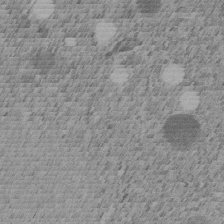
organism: C. elegans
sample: C. elegans embryo early stage